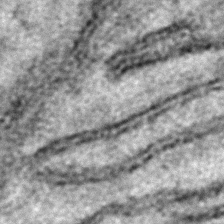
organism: C. elegans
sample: C. elegans embryo